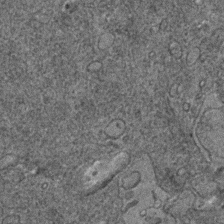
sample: Trachea